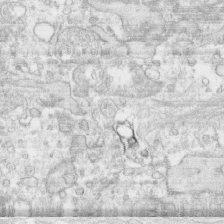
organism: Human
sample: CRL-1474